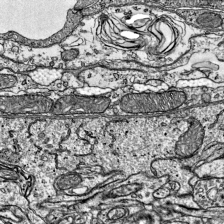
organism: Mouse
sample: Visual Cortex